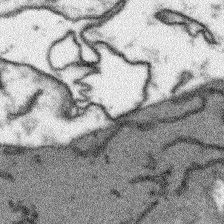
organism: Arabidopsis thaliana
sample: Root tip